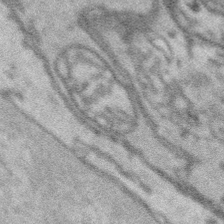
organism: Platynereis dumerilii